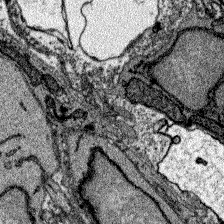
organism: Zebrafish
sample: Larval olfactory bulb